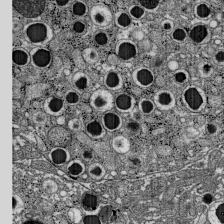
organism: C57BL Mouse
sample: Pancreatic islet